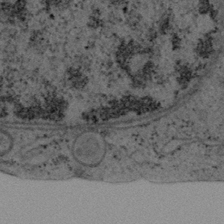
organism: Human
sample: HeLa cells